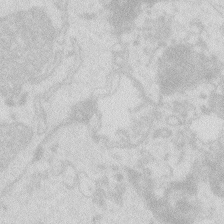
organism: Zebrafish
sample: Macrophage